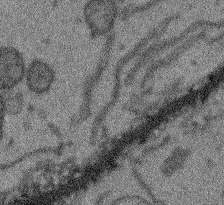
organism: Arabidopsis thaliana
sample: Root tip